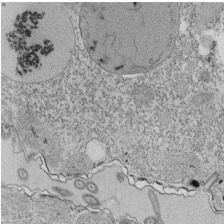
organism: Tetrahymena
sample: Cilia in tetrahymena